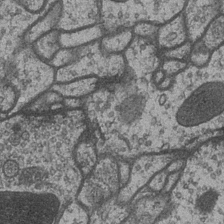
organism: Drosophila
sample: Optic medulla